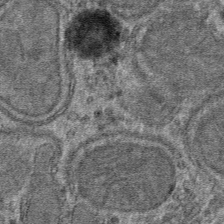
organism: Mouse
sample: Mouse hepatocytes